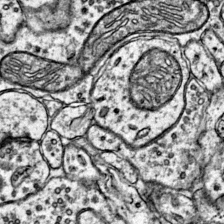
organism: Mouse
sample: Primary visual cortex